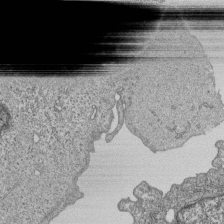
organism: Human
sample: MDA-MB-231 cells